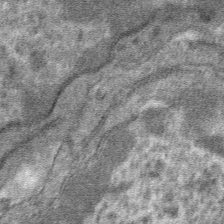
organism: Mouse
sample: Mouse hepatocytes